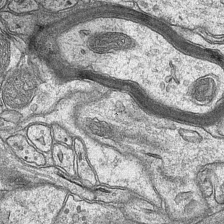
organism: Mouse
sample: CA1 Hippocampus